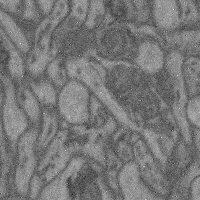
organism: Mouse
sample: Cerebral cortex